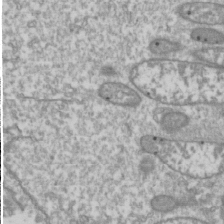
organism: Drosophila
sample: Cell division; meiosis; drosophila spermatocytes